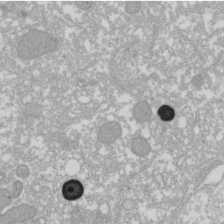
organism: Xenopus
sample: Cilia; centrioles in frog embryo cells